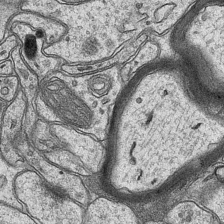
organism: Mouse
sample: CA1 Hippocampus